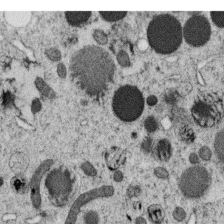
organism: C. elegans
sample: C. elegans oocyte; sperm cells